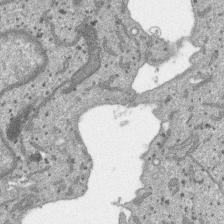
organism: Human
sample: Lung epithelial cells infected with SARS-CoV-2